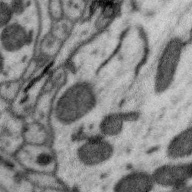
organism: Zebra finch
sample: Brain